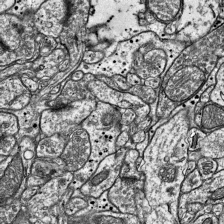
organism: Mouse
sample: Visual Cortex